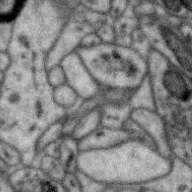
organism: Zebra finch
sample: Brain